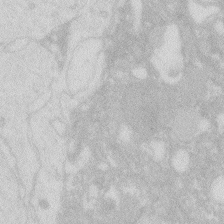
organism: Zebrafish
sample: Macrophage